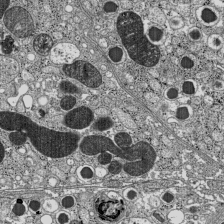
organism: C57BL Mouse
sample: Pancreatic islet